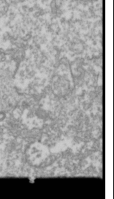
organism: Drosophila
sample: Cell division; meiosis; drosophila spermatocytes